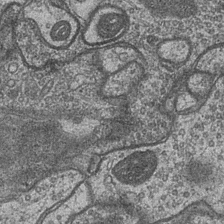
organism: Drosophila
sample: Optic medulla